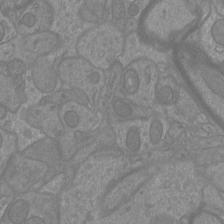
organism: Mouse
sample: Cortical neurons